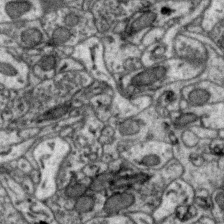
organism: Zebra finch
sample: Brain